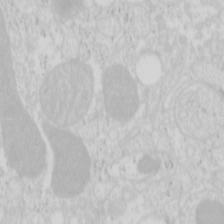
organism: Mouse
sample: Pancreas